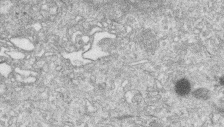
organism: Human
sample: HeLa cell HIV synapse